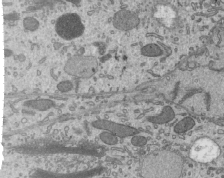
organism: Mouse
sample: Mouse epididymis efferent ductule cilia